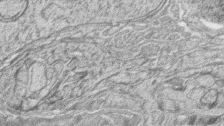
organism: Zebrafish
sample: synaptic ribbons in rod cells and cone cells